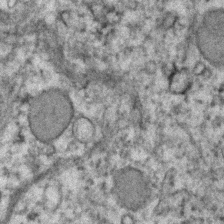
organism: Human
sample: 1205lu cells